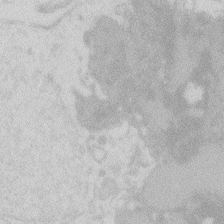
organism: Zebrafish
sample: Macrophage